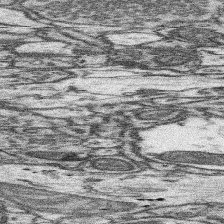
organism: Mouse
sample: Somatosensory cortex neuropil